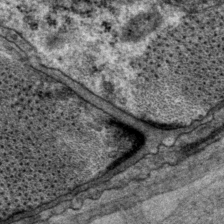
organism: P. pacificus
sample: Pharynx